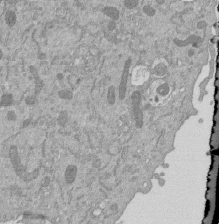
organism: Mouse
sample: ED-1 cell nuclei; centrioles